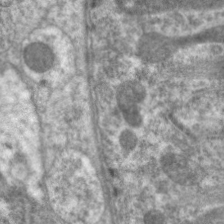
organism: C. elegans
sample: Pharynx